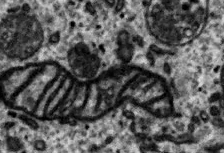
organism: Human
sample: HeLa cells